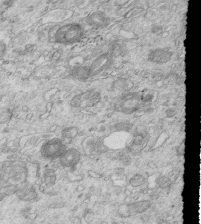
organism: Mouse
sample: Multiciliated cells